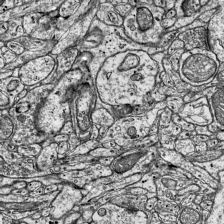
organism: Mouse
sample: Visual Cortex